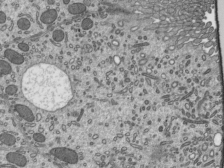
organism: Mouse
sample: Mouse epididymis efferent ductule cilia